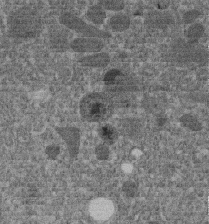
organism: C. elegans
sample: C. elegans embryo early stage